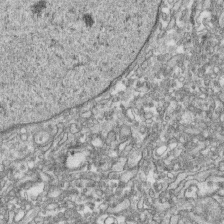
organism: Human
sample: CRL-1474